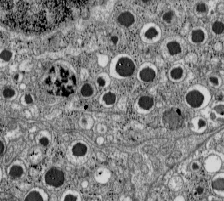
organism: C57BL Mouse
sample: Pancreatic islet